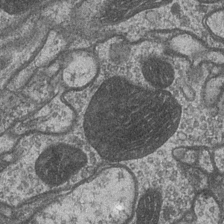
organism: Drosophila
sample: Optic medulla